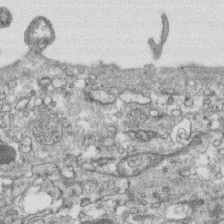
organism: Human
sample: CRL-1474